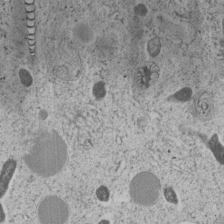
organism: C. elegans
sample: C. elegans embryo early stage